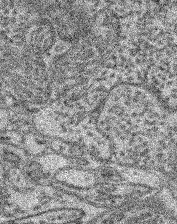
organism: Mouse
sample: Retina